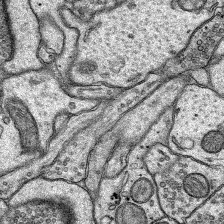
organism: Rat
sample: Hippocampus